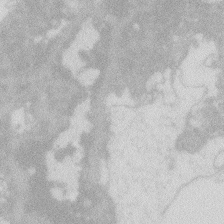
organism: Zebrafish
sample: Macrophage